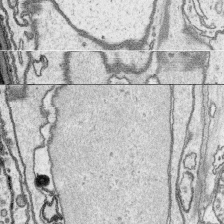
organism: Platynereis dumerilii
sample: Parapodia